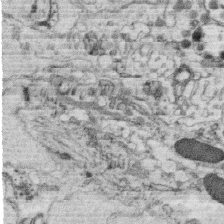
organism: C. elegans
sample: C. elegans oocyte; sperm cells